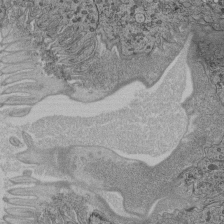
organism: C. elegans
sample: C. elegans pharynx